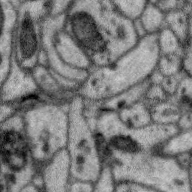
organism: Zebra finch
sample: Brain